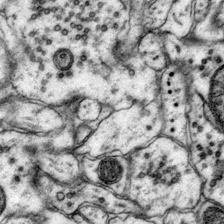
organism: Mouse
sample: Primary visual cortex